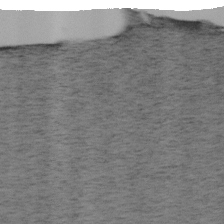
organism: Mouse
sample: OT-I killer T cells with ID8 ovarian cancer cells